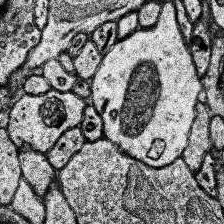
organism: Human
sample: Temporal Lobe